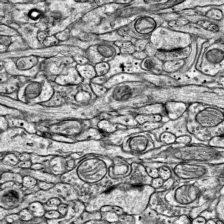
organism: Mouse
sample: Visual Cortex